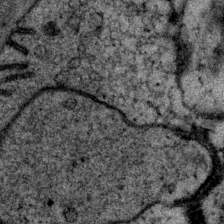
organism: P. pacificus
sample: Pharynx